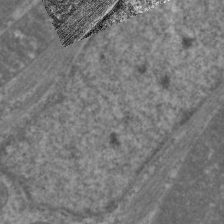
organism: C. elegans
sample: Pharynx